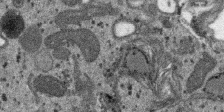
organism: Human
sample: Lung epithelial cells infected with SARS-CoV-2